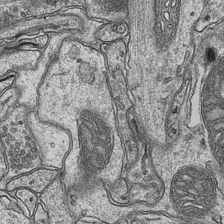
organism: Mouse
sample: CA1 Hippocampus